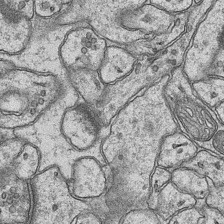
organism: Mouse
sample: CA1 Hippocampus